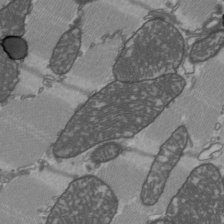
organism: C57BL Mouse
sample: Heart